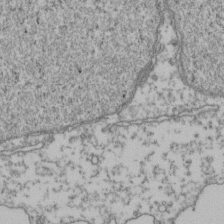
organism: Human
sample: Activated Jurkat CD4+ T cells